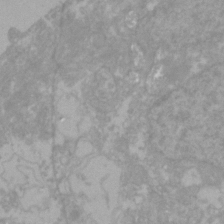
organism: Zebrafish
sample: Zebrafish embryo